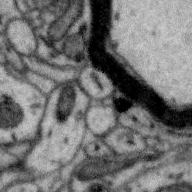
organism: Zebra finch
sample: Brain